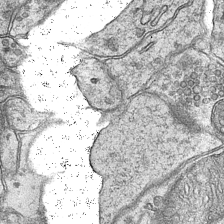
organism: Mouse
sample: CA1 Hippocampus